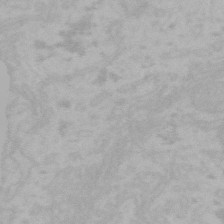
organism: Mouse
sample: Choroid plexus